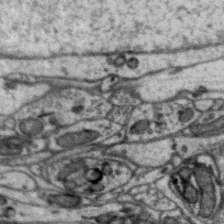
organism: Zebra finch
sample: Brain